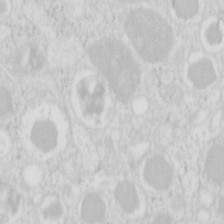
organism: Mouse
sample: Pancreas